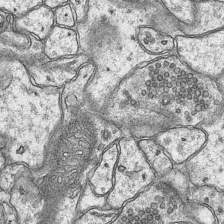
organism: Mouse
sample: CA1 Hippocampus